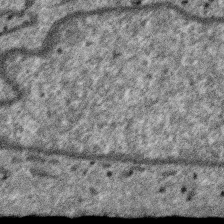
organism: Human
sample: Lung epithelial cells infected with SARS-CoV-2